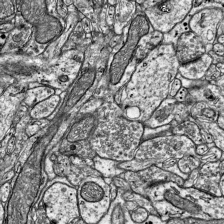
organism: Mouse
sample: Visual Cortex